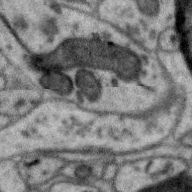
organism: Zebra finch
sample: Brain